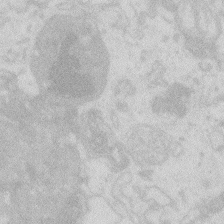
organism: Zebrafish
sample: Macrophage